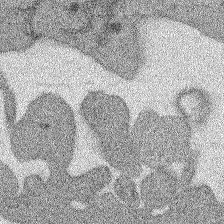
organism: Human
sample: HeLa cells